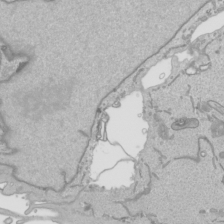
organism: Human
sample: Mitochondria in HCT116 cells